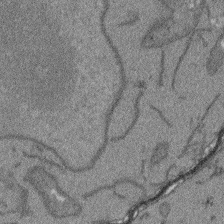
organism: Arabidopsis thaliana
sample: Root tip